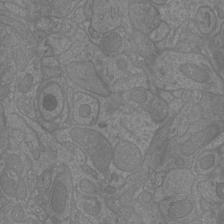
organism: Mouse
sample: Cortical neurons